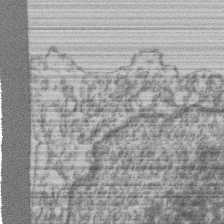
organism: Mouse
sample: T cell stromal cell synapse